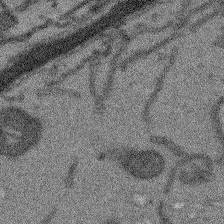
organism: Arabidopsis thaliana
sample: Root tip